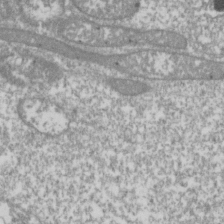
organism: Drosophila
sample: Cell division; meiosis; drosophila spermatocytes